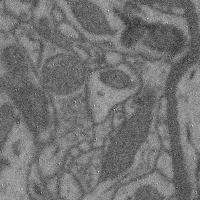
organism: Mouse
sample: Cerebral cortex